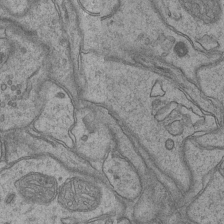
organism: Mouse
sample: CA1 Hippocampus